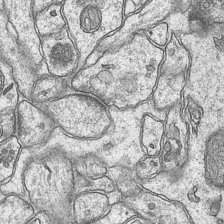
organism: Mouse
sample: CA1 Hippocampus